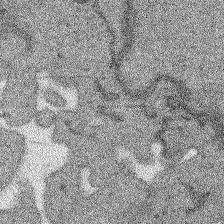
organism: Human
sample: HeLa cells